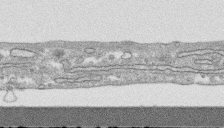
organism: Human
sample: CRL-1474